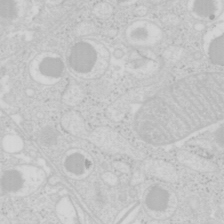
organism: Mouse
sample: Pancreas